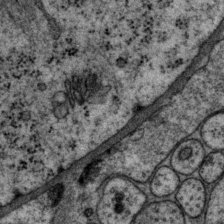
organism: P. pacificus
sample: Pharynx